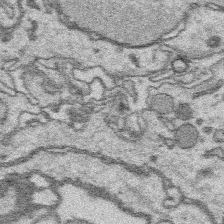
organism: Platynereis dumerilii